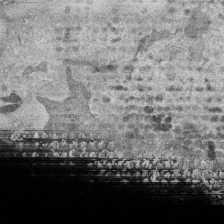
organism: Human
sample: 1205lu cells